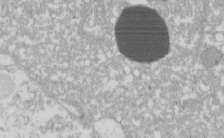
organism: Xenopus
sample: Cilia; centrioles in frog embryo cells